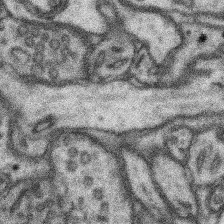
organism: Mouse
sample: Somatosensory cortex neuropil